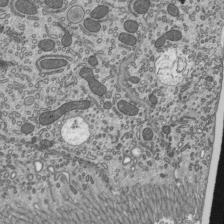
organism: Mouse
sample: Mouse epididymis efferent ductule cilia